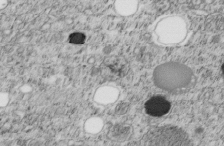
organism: C. elegans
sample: C. elegans embryo early stage